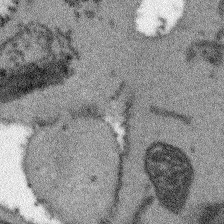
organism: Arabidopsis thaliana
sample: Root tip